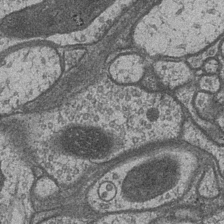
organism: Drosophila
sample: Optic medulla